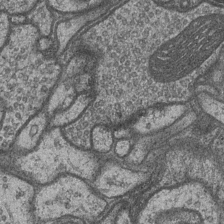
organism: Drosophila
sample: Optic medulla